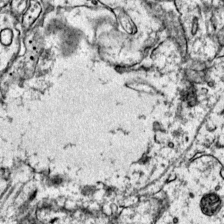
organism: Mouse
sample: Primary visual cortex